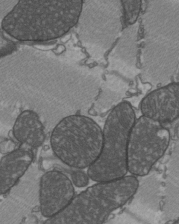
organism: C57BL Mouse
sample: Heart